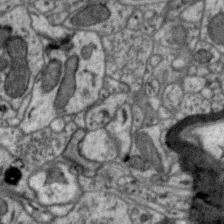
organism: Zebra finch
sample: Brain